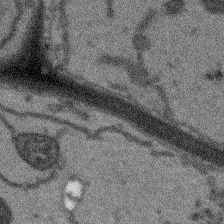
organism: Arabidopsis thaliana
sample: Root tip